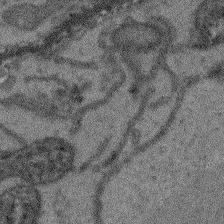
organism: Arabidopsis thaliana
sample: Root tip